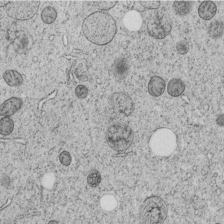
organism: C. elegans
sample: C. elegans embryo early stage